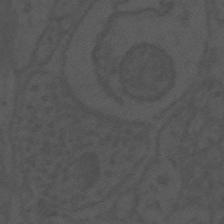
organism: Mouse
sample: Suprachiasmatic nucleus